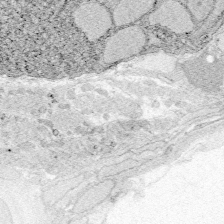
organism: Zebrafish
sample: Whole-Brain